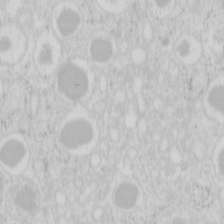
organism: Mouse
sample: Pancreas